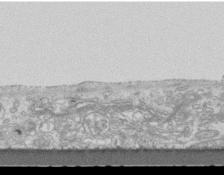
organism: Mouse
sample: Centriole in ependymal cells